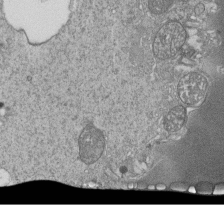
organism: Tetrahymena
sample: Cilia in tetrahymena